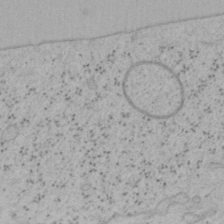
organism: Human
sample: HeLa cells